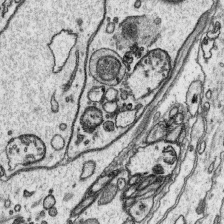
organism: Platynereis dumerilii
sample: Parapodia